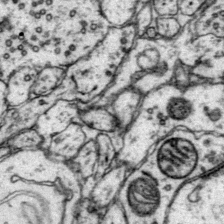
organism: Mouse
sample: Primary visual cortex